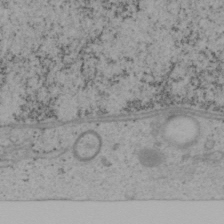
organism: Human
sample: HeLa cells